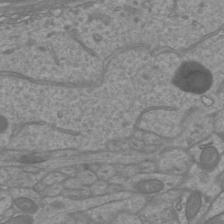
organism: Mouse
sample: Cortical neurons